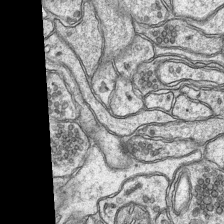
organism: Mouse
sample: CA1 Hippocampus